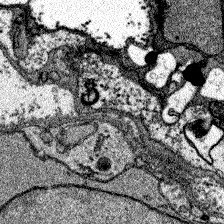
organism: Zebrafish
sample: Larval olfactory bulb